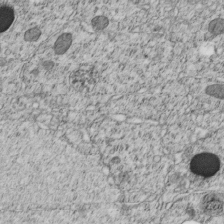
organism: C. elegans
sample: C. elegans embryo early stage